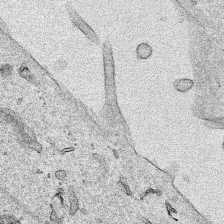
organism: Human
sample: Mitochondria in HCT116 cells